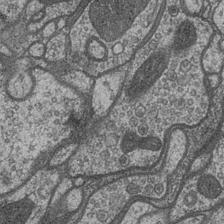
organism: Drosophila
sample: Optic medulla